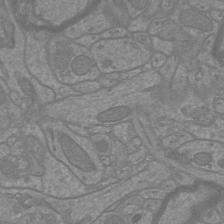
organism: Mouse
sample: Cortical neurons